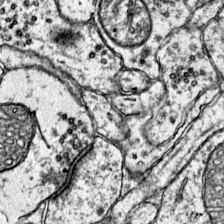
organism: Mouse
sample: Primary visual cortex